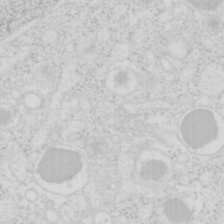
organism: Mouse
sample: Pancreas